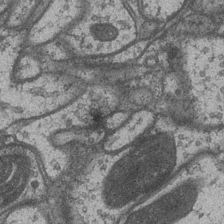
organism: Drosophila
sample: Optic medulla